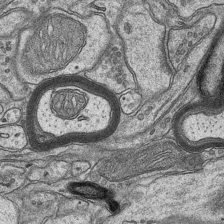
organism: Mouse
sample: CA1 Hippocampus